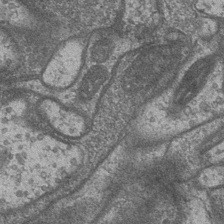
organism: Drosophila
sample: Optic medulla